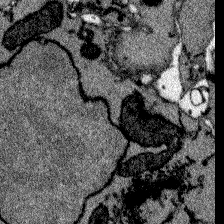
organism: Zebrafish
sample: Larval olfactory bulb